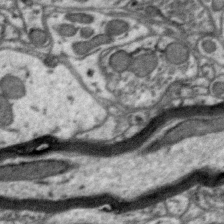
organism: Zebra finch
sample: Brain